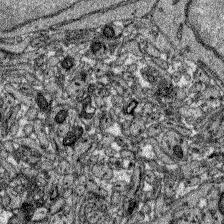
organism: Zebrafish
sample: Larval olfactory bulb